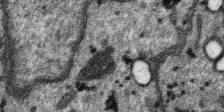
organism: Human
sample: Lung epithelial cells infected with SARS-CoV-2